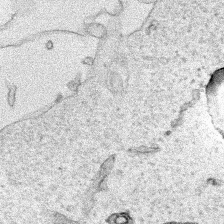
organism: Human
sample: Mitochondria in HCT116 cells